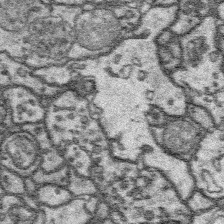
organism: Platynereis dumerilii